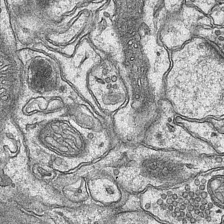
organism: Mouse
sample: CA1 Hippocampus